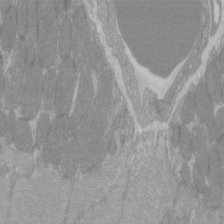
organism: C57BL Mouse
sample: Tibialis anterior muscle cell